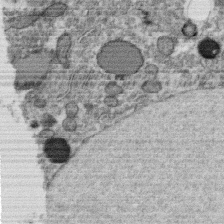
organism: C. elegans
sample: C. elegans oocyte; sperm cells